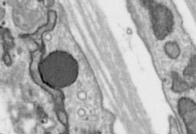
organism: Toxoplasma gondii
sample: Parasites in a vacuole inside a host cell